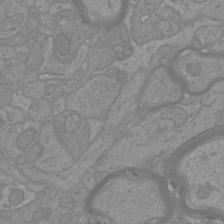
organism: Mouse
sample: Cortical neurons